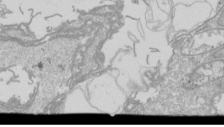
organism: Drosophila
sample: Cell division; meiosis; drosophila spermatocytes